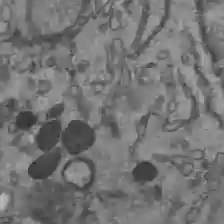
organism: C57BL Mouse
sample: Liver